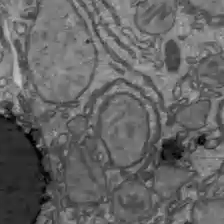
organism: C57BL Mouse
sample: Liver